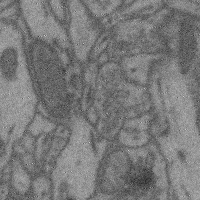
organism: Mouse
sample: Cerebral cortex